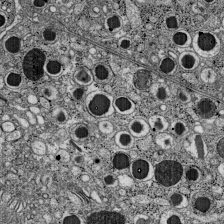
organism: C57BL Mouse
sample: Pancreatic islet